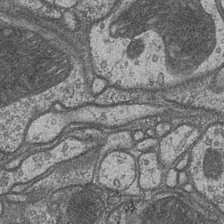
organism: Drosophila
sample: Optic medulla